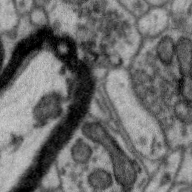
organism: Zebra finch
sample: Brain